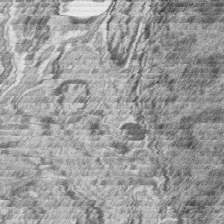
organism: Zebrafish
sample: synaptic ribbons in rod cells and cone cells